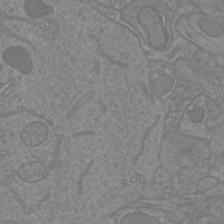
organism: Mouse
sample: Cortical neurons